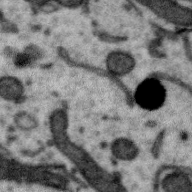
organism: Zebra finch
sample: Brain